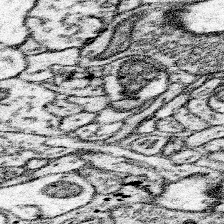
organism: Mouse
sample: Somatosensory cortex neuropil